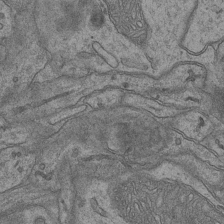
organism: Mouse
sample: CA1 Hippocampus